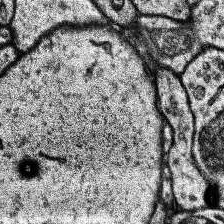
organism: Human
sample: Temporal Lobe